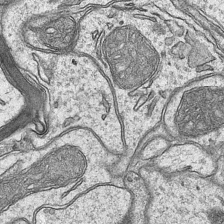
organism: Mouse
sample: CA1 Hippocampus